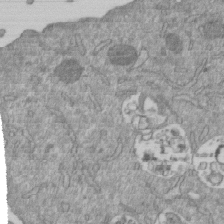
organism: Mouse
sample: ED-1 cell nuclei; centrioles